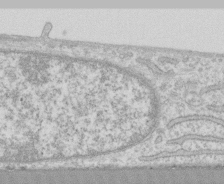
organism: Human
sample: CRL-1474